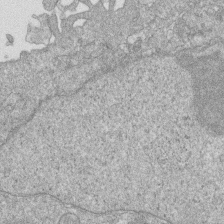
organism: Human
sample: HeLa cell HIV synapse